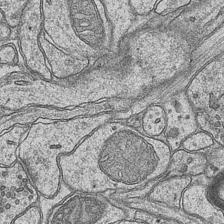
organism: Mouse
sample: CA1 Hippocampus